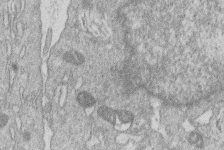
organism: Human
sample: Macrophage cells